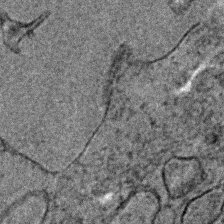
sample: Trachea